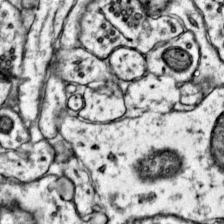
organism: Mouse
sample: Primary visual cortex